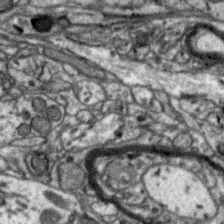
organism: Zebra finch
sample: Brain